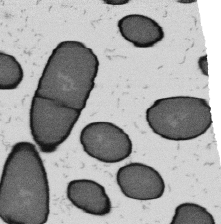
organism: B. subtilis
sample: Bacterial spore